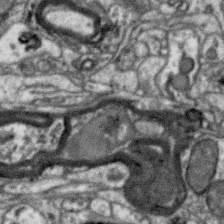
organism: Zebra finch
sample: Brain